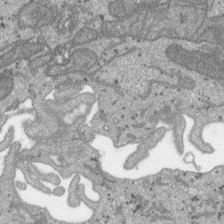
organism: Human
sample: Lung epithelial cells infected with SARS-CoV-2